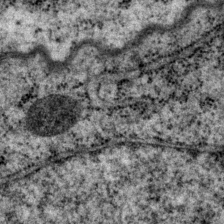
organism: P. pacificus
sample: Pharynx